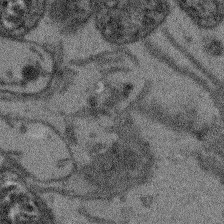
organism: Arabidopsis thaliana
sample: Root tip